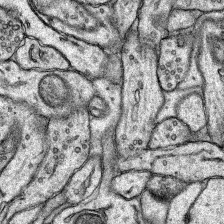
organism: Rat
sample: Hippocampus